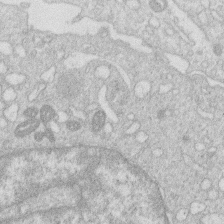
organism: Human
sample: Macrophage cells